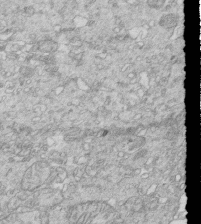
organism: Mouse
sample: Multiciliated cells